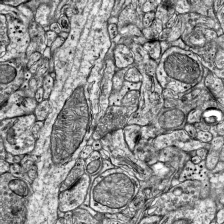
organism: Mouse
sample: Visual Cortex